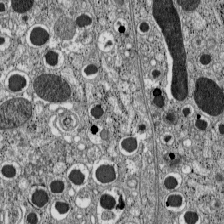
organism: C57BL Mouse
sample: Pancreatic islet